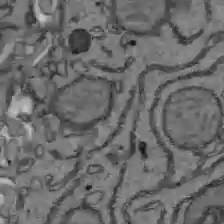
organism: C57BL Mouse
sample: Liver